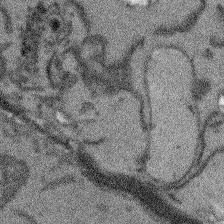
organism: Arabidopsis thaliana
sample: Root tip